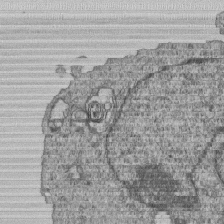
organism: Human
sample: MDA-MB-231 cells